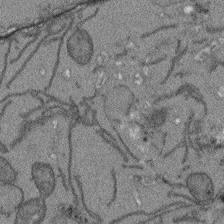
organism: Arabidopsis thaliana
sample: Root tip